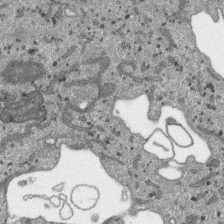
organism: Human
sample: Lung epithelial cells infected with SARS-CoV-2